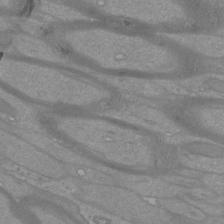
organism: Mouse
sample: Cortical neurons